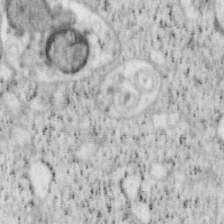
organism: Mouse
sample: OT-I killer T cells with ID8 ovarian cancer cells